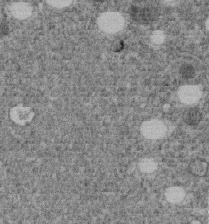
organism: C. elegans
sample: C. elegans embryo early stage